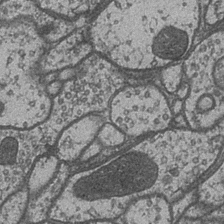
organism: Drosophila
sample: Optic medulla